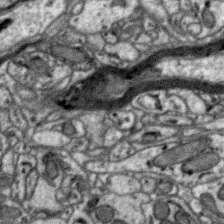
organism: Zebra finch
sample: Brain